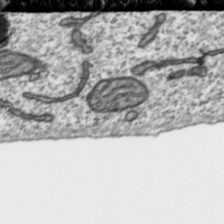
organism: Toxoplasma gondii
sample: Parasites in a vacuole inside a host cell